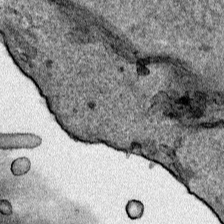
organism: Human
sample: Mitochondria in HCT116 cells